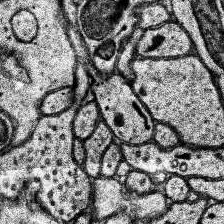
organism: Human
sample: Temporal Lobe